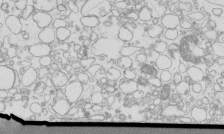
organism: Mouse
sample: Macrophages